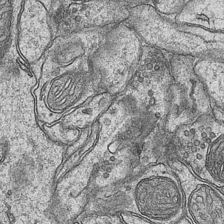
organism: Mouse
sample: CA1 Hippocampus